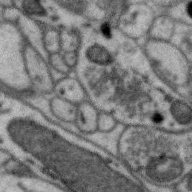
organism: Zebra finch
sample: Brain